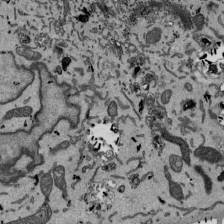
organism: Mouse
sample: ED-1 cell nuclei; centrioles